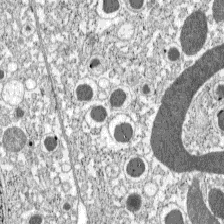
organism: C57BL Mouse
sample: Pancreatic islet